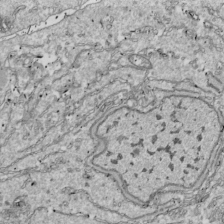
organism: Drosophila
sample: Cell division; meiosis; drosophila spermatocytes